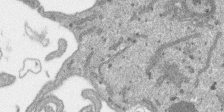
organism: Human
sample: Lung epithelial cells infected with SARS-CoV-2